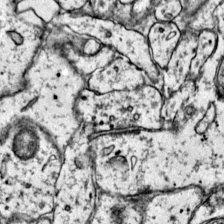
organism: Mouse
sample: Primary visual cortex